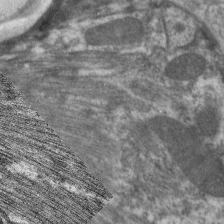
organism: C. elegans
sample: Pharynx